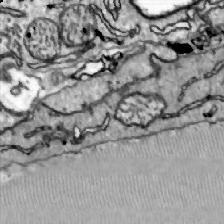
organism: Zebrafish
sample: Actinotrichia fibers